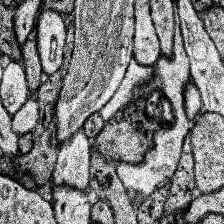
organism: Human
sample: Temporal Lobe